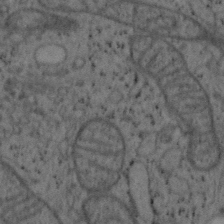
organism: Human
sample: HeLa cells